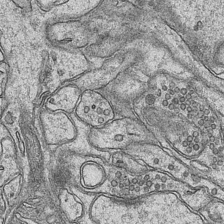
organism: Mouse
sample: CA1 Hippocampus